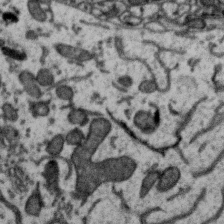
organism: Zebra finch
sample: Brain